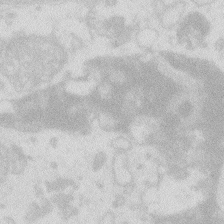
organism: Zebrafish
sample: Macrophage